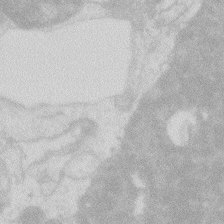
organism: Zebrafish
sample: Macrophage